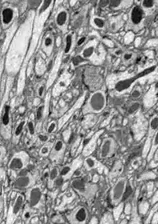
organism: Drosophila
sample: Optic lobe